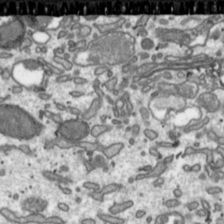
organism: Toxoplasma gondii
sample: Parasites in a vacuole inside a host cell